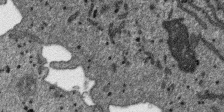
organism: Human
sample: Lung epithelial cells infected with SARS-CoV-2